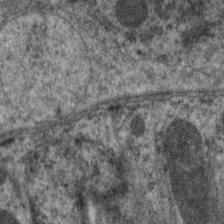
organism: C. elegans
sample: Pharynx